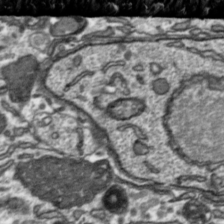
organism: Toxoplasma gondii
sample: Parasites in a vacuole inside a host cell